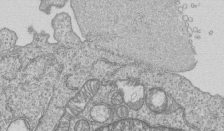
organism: Human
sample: MDA-MB-231 cells